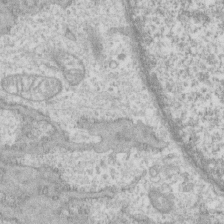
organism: Human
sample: CRL-1474